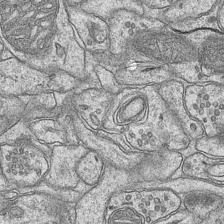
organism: Mouse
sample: CA1 Hippocampus